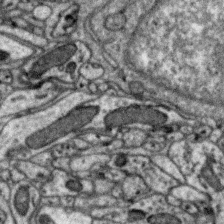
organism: Zebra finch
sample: Brain